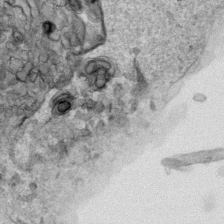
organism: Human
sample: Mitochondria in HCT116 cells